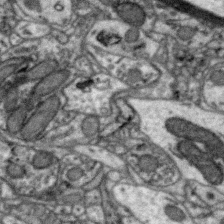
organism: Zebra finch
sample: Brain